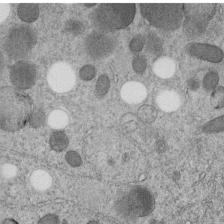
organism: C. elegans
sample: C. elegans embryo early stage